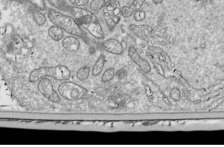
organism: Drosophila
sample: Cell division; meiosis; drosophila spermatocytes